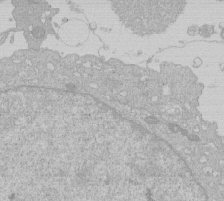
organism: Human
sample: Macrophage cells